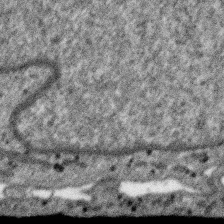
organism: Human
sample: Lung epithelial cells infected with SARS-CoV-2